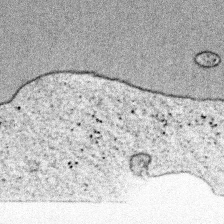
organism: Human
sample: HeLa cells